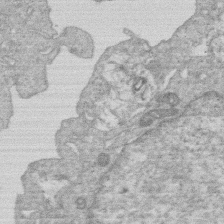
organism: Human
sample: Macrophage cells